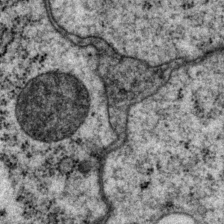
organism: P. pacificus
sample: Pharynx